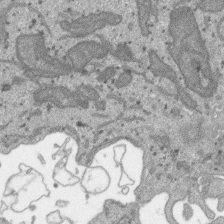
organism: Human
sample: Lung epithelial cells infected with SARS-CoV-2